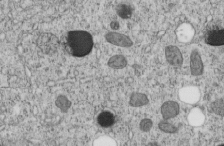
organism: C. elegans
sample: C. elegans embryo early stage